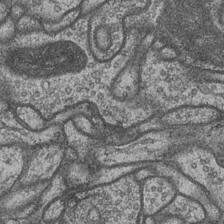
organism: Drosophila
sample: Optic medulla